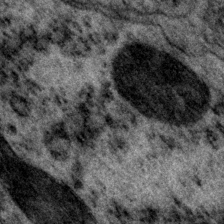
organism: P. pacificus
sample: Pharynx